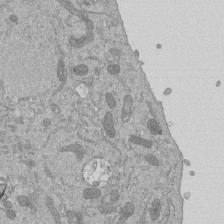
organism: Mouse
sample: ED-1 cell nuclei; centrioles